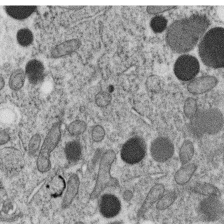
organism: C. elegans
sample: C. elegans oocyte; sperm cells